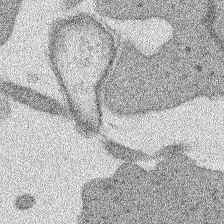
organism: Human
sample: HeLa cells